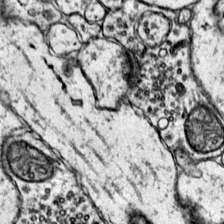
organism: Mouse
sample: Primary visual cortex